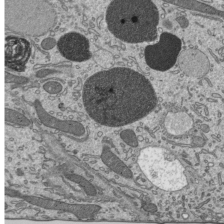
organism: Mouse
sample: Mouse epididymis efferent ductule cilia